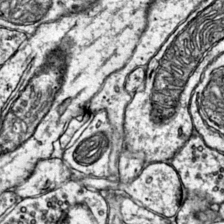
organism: Mouse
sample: Primary visual cortex